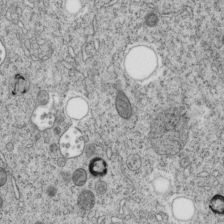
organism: C. elegans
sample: C. elegans embryo early stage